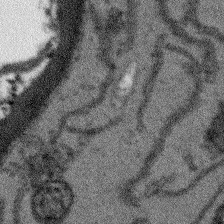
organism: Arabidopsis thaliana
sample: Root tip